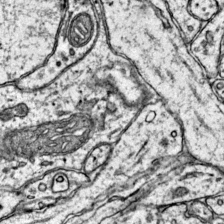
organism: Mouse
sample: Primary visual cortex